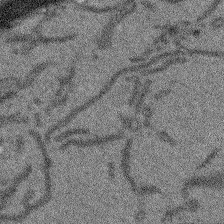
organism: Arabidopsis thaliana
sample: Root tip